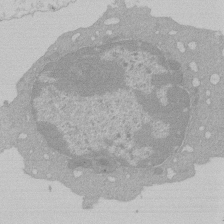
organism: Mouse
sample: Activated Pmel transgenic CD8+ T Cells